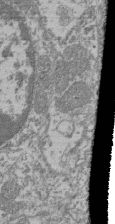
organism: Mouse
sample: Glomerulus